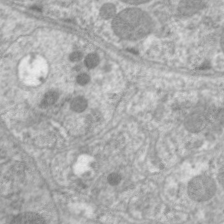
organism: C. elegans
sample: Pharynx